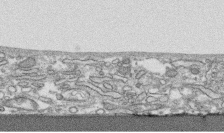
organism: Human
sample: CRL-1474